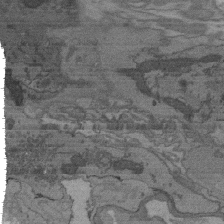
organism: C. elegans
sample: AFD neurons C. elegans